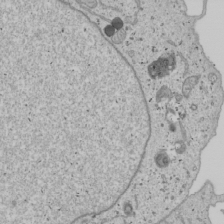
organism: Human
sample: Mitochondria in U2OS cells